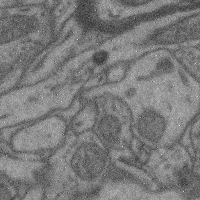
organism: Mouse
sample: Cerebral cortex